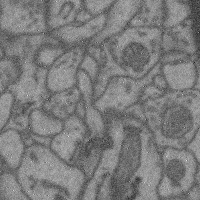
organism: Mouse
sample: Cerebral cortex